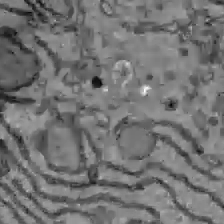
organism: C57BL Mouse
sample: Liver